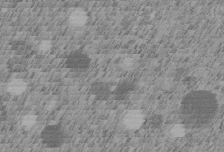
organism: C. elegans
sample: C. elegans embryo early stage